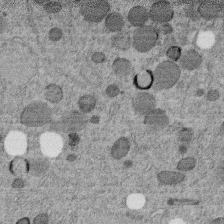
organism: C. elegans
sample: C. elegans embryo early stage